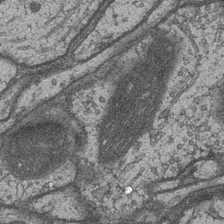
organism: Drosophila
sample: Optic medulla